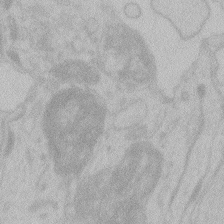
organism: Zebrafish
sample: Macrophage infected with Toxoplasma gondii